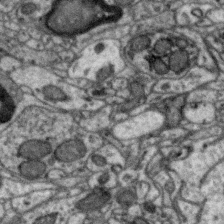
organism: Zebra finch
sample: Brain